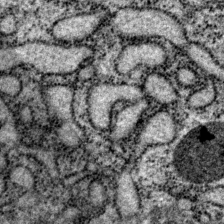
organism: P. pacificus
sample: Pharynx